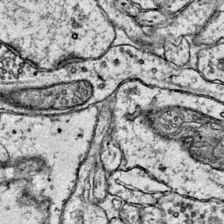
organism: Mouse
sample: Primary visual cortex